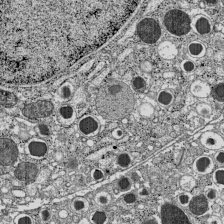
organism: C57BL Mouse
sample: Pancreatic islet